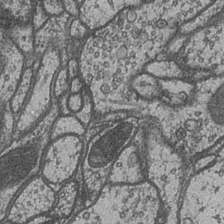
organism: Drosophila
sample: Optic medulla